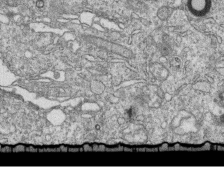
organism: Human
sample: HeLa cell HIV synapse